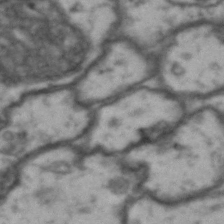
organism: Drosophila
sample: Brain